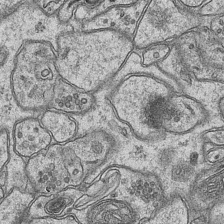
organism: Mouse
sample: CA1 Hippocampus